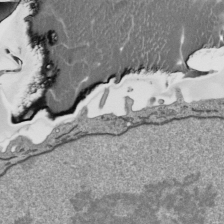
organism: Human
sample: Mitochondria in HCT116 cells